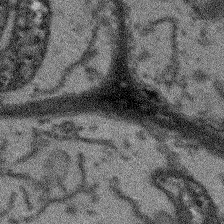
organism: Arabidopsis thaliana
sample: Root tip